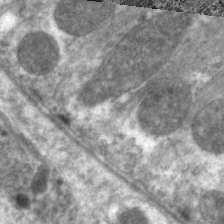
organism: C. elegans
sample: Pharynx